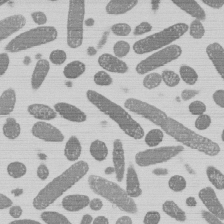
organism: E. coli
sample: Bacterial nucleoid